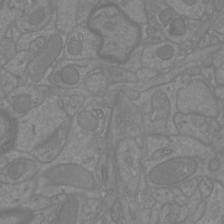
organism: Mouse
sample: Cortical neurons